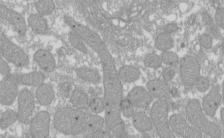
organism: Xenopus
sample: Cilia; centrioles in frog embryo cells